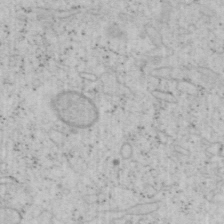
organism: Human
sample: HeLa cells